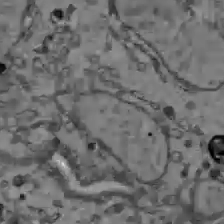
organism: C57BL Mouse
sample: Liver